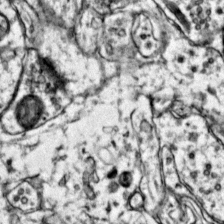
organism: Mouse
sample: Primary visual cortex